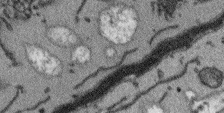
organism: Arabidopsis thaliana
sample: Root tip